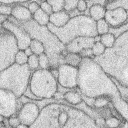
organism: Rabbit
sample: Retina